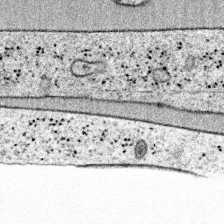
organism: Human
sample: HeLa cells